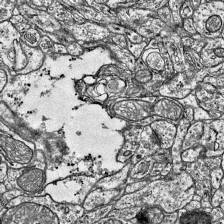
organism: Mouse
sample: Visual Cortex